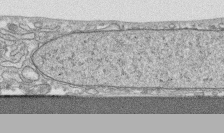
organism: Human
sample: CRL-1474